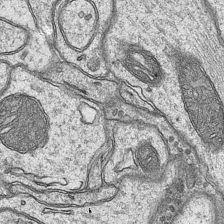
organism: Mouse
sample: CA1 Hippocampus